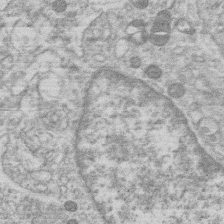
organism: Human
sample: Macrophage cells